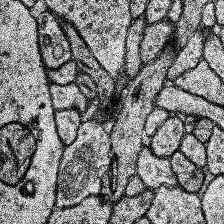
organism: Human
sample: Temporal Lobe